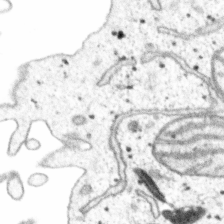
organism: Human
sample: HeLa cells